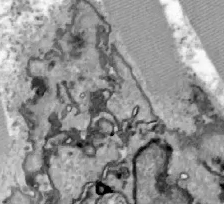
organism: Zebrafish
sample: Actinotrichia fibers